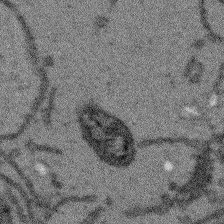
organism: Arabidopsis thaliana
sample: Root tip